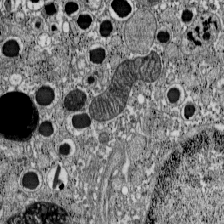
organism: C57BL Mouse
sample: Pancreatic islet